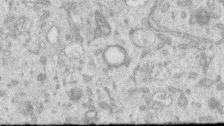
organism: Human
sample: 1205lu cells